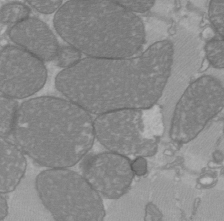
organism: C57BL Mouse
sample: Heart